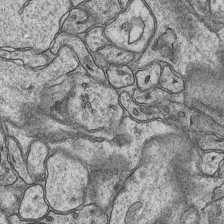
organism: Mouse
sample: CA1 Hippocampus